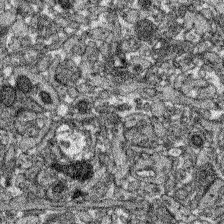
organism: Zebrafish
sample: Larval olfactory bulb